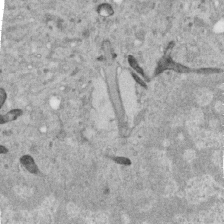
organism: Human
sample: Centriole in RPE cells